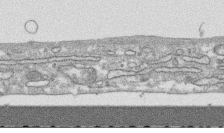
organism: Human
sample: CRL-1474